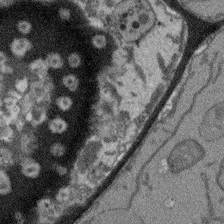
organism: Arabidopsis thaliana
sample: Root tip